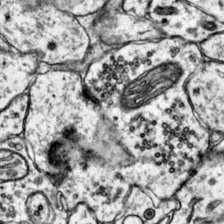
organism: Mouse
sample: Primary visual cortex